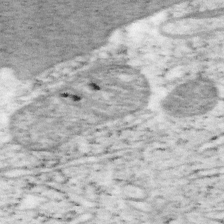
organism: Mouse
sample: OT-I killer T cells with ID8 ovarian cancer cells